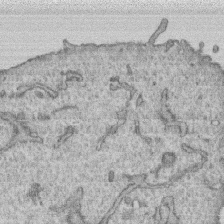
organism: Human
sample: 1205lu cells